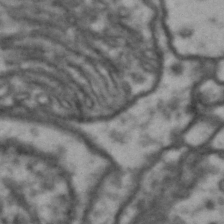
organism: Drosophila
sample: Brain